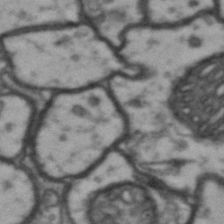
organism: Drosophila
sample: Brain